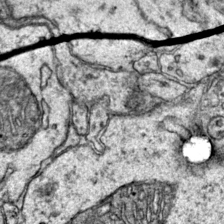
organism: Mouse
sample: Primary visual cortex